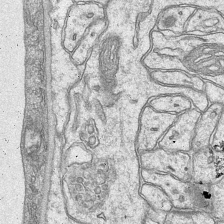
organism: Mouse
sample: CA1 Hippocampus